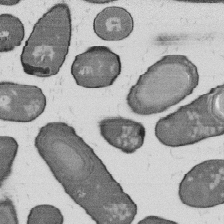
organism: B. subtilis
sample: Bacterial spore